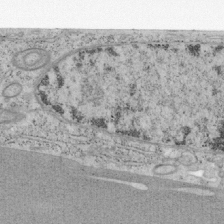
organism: Human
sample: HeLa cells